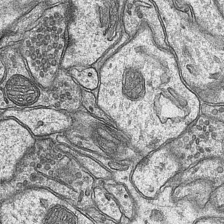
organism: Mouse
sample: CA1 Hippocampus